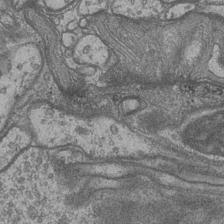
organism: Drosophila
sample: Optic medulla